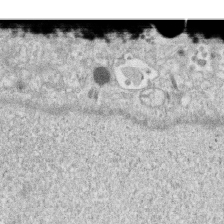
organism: Human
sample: HeLa cell HIV synapse